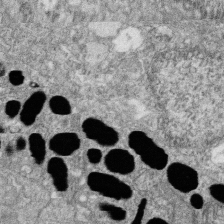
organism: Zebrafish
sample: Cilia; retinal pigment epithelium